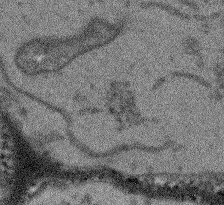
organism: Arabidopsis thaliana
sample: Root tip